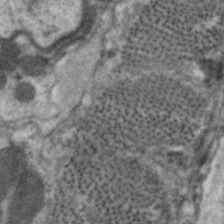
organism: C. elegans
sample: Pharynx